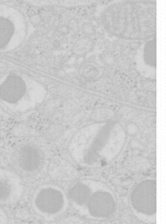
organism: Mouse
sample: Pancreas